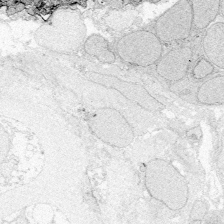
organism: Zebrafish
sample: Whole-Brain